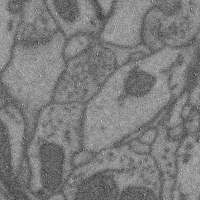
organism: Mouse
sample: Cerebral cortex